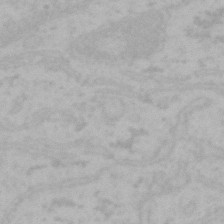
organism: Mouse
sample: Choroid plexus